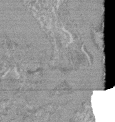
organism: Mouse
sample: Glomerulus